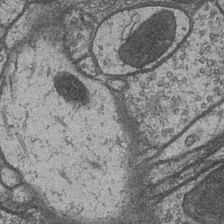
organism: Drosophila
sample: Optic medulla